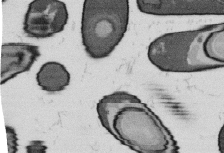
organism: B. subtilis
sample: Bacterial spore